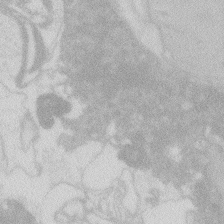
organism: Zebrafish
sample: Macrophage